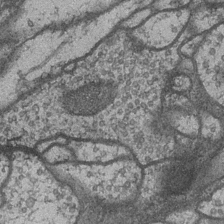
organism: Drosophila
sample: Optic medulla